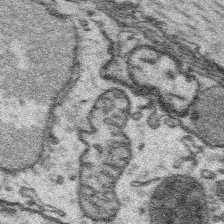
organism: Platynereis dumerilii